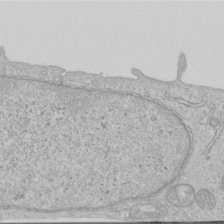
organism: Human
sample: Centriole in RPE cells